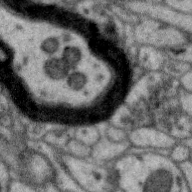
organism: Zebra finch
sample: Brain